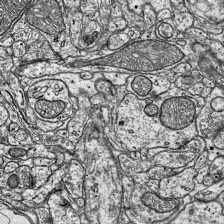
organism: Mouse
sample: Visual Cortex